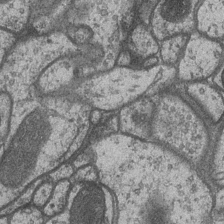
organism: Drosophila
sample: Optic medulla